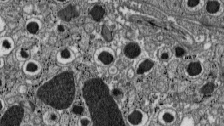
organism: C57BL Mouse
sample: Pancreatic islet